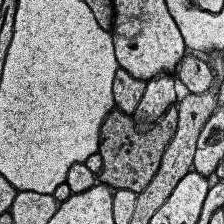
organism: Human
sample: Temporal Lobe